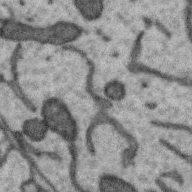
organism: Zebra finch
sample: Brain